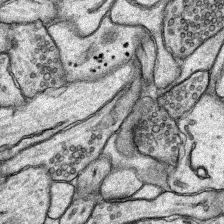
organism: Rat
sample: Hippocampus